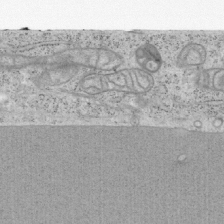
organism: Human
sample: HeLa cells